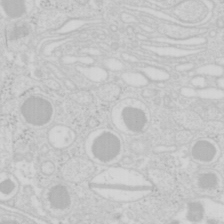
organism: Mouse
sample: Pancreas